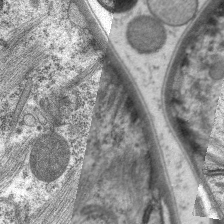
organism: C. elegans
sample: Pharynx